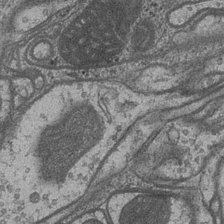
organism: Drosophila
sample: Optic medulla